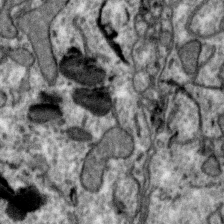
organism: Zebra finch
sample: Brain